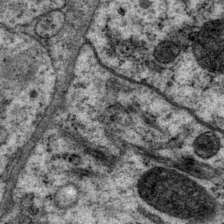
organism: P. pacificus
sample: Pharynx